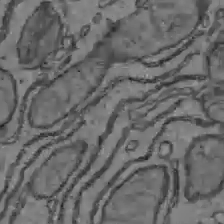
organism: C57BL Mouse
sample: Liver